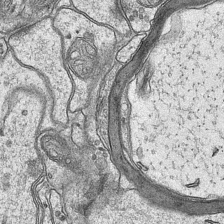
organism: Mouse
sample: CA1 Hippocampus